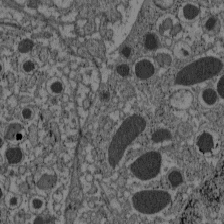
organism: C57BL Mouse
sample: Pancreatic islet